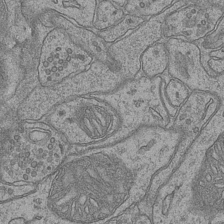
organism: Mouse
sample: CA1 Hippocampus